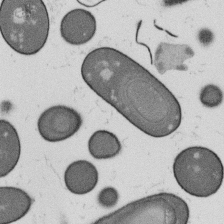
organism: B. subtilis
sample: Bacterial spore